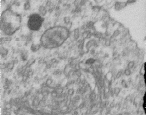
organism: Human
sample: Centriole in RPE cells